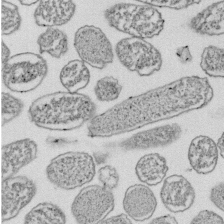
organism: E. coli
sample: Bacterial nucleoid